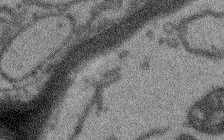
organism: Arabidopsis thaliana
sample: Root tip